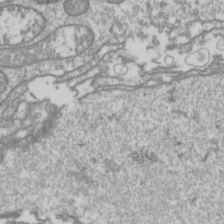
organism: Drosophila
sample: Cell division; meiosis; drosophila spermatocytes